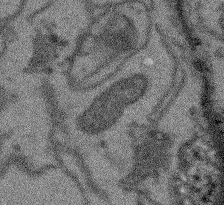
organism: Arabidopsis thaliana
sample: Root tip